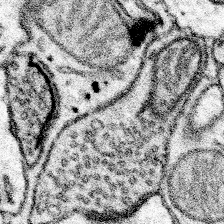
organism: Mouse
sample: Somatosensory cortex neuropil